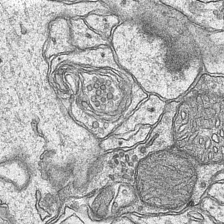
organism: Mouse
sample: CA1 Hippocampus